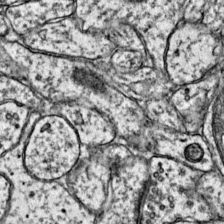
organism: Mouse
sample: Primary visual cortex